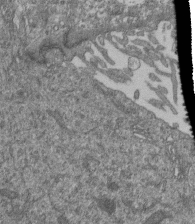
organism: Human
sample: Retinal organoid Rod and Cone cells